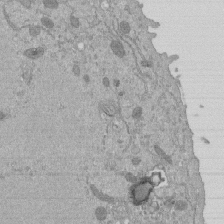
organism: Mouse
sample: ED-1 cell nuclei; centrioles